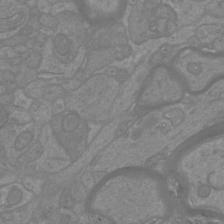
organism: Mouse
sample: Cortical neurons